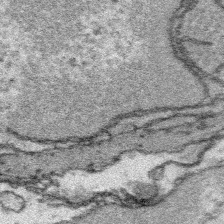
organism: Platynereis dumerilii